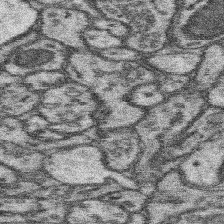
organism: Mouse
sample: Somatosensory cortex neuropil